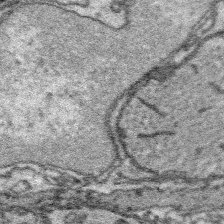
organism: Platynereis dumerilii